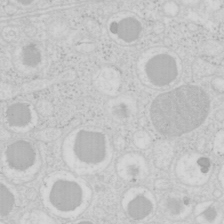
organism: Mouse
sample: Pancreas